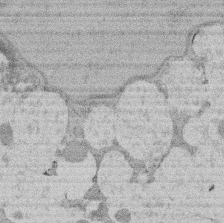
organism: Rat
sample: Salivary granule